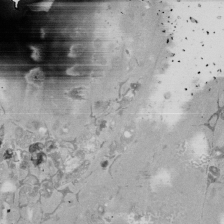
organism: Mouse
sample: ED-1 cell nuclei; centrioles